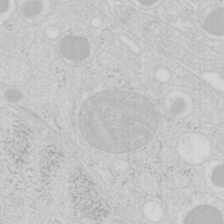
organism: Mouse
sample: Pancreas